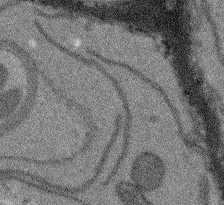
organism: Arabidopsis thaliana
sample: Root tip